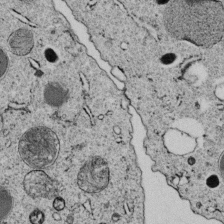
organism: C. elegans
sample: C. elegans embryo early stage